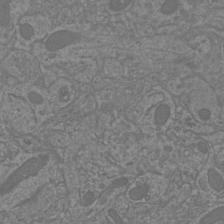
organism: Mouse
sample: Cortical neurons